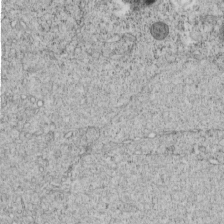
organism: C. elegans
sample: C. elegans embryo early stage